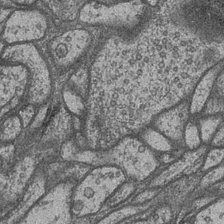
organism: Drosophila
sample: Optic medulla